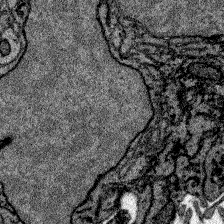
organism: Zebrafish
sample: Larval olfactory bulb